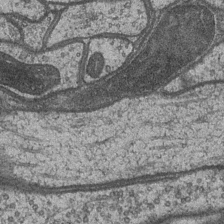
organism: Drosophila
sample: Optic medulla